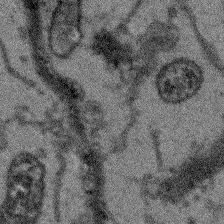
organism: Arabidopsis thaliana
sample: Root tip